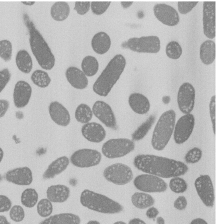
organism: E. coli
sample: Bacterial nucleoid